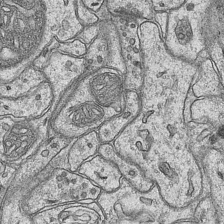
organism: Mouse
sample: CA1 Hippocampus